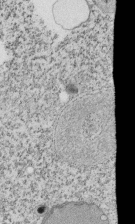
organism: Tetrahymena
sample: Cilia in tetrahymena